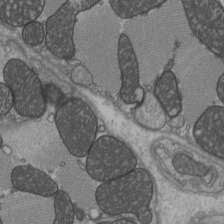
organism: C57BL Mouse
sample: Heart